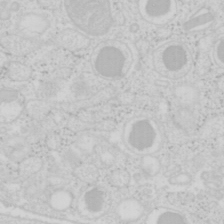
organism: Mouse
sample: Pancreas